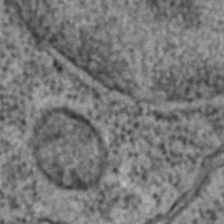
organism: C. elegans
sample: C. elegans embryo